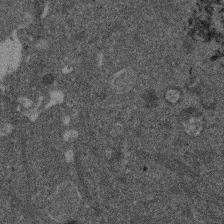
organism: Mouse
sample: Dividing mouse embryo 1 cell stage